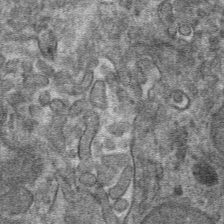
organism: Mouse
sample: Mouse hepatocytes